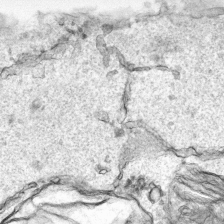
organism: Human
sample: Mitochondria in HCT116 cells